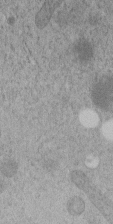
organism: C. elegans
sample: C. elegans embryo early stage